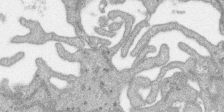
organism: Human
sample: Lung epithelial cells infected with SARS-CoV-2